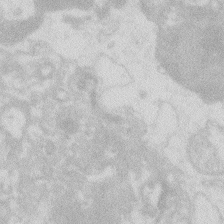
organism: Zebrafish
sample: Macrophage